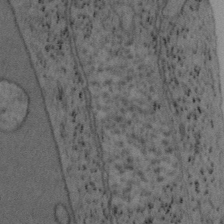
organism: Human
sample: HeLa cells